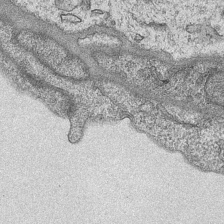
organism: Mouse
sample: CA1 Hippocampus